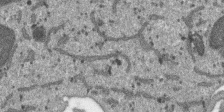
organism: Human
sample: Lung epithelial cells infected with SARS-CoV-2